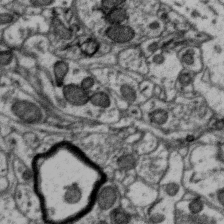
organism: Zebra finch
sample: Brain